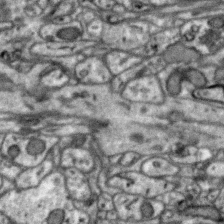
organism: Zebra finch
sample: Brain